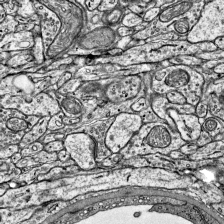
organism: Mouse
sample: Visual Cortex